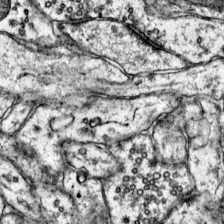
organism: Mouse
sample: Primary visual cortex